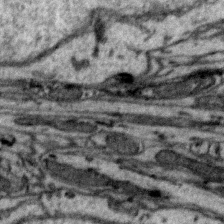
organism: Zebra finch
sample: Brain